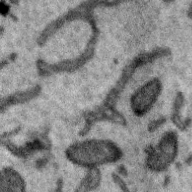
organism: Zebra finch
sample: Brain